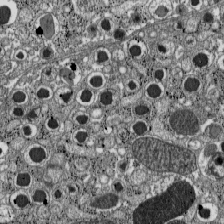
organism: C57BL Mouse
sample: Pancreatic islet